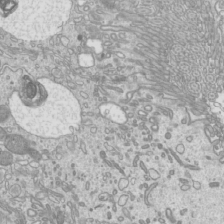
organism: Mouse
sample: Cilia; mouse epididymis